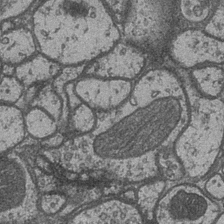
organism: Drosophila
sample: Optic medulla